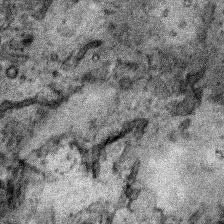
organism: Human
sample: Mitochondria in HCT116 cells